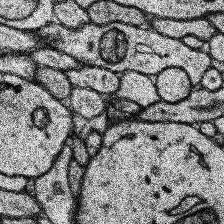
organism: Human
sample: Temporal Lobe